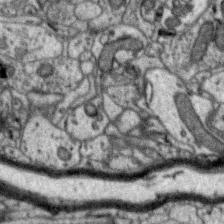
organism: Zebra finch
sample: Brain